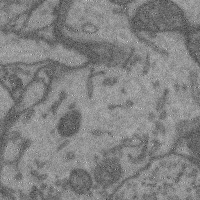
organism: Mouse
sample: Cerebral cortex